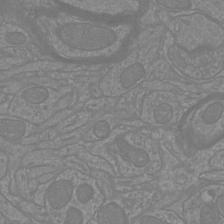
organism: Mouse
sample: Cortical neurons